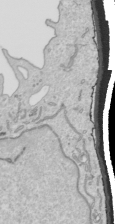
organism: Human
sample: Mitochondria in HCT116 cells